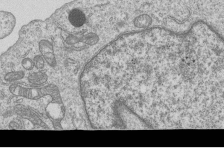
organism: Human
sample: MDA-MB-231 cells